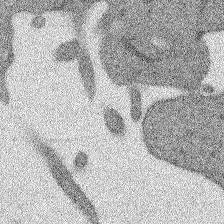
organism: Human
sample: HeLa cells